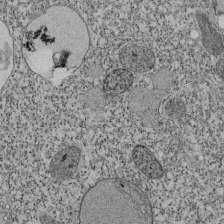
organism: Tetrahymena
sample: Cilia in tetrahymena